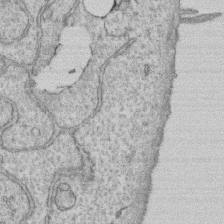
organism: Human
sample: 1205lu cells